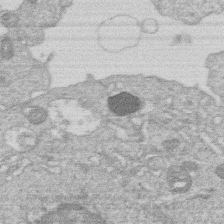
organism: Human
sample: Macrophage cells